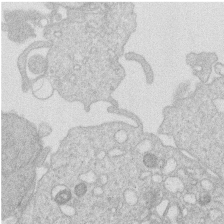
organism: Human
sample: Macrophage cells